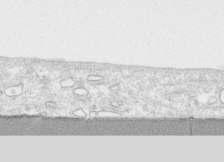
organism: Human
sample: CRL-1474